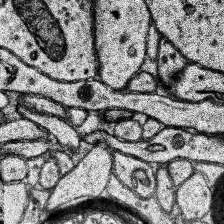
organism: Human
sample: Temporal Lobe